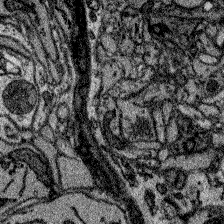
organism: Zebrafish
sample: Larval olfactory bulb